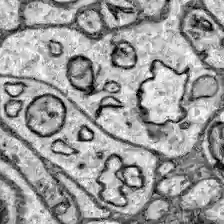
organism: Zebrafish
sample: Brain